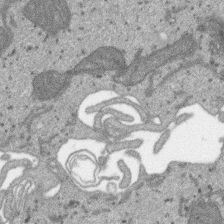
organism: Human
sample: Lung epithelial cells infected with SARS-CoV-2